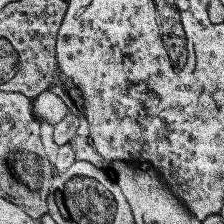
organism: Human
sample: Temporal Lobe